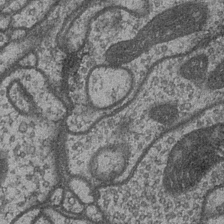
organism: Drosophila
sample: Optic medulla